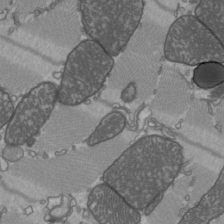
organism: C57BL Mouse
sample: Heart